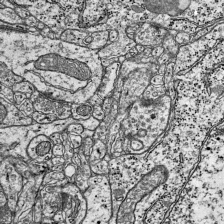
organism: Mouse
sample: Visual Cortex